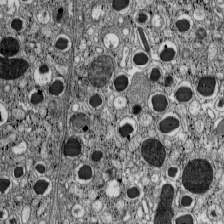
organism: C57BL Mouse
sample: Pancreatic islet